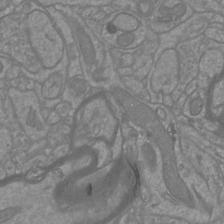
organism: Mouse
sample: Cortical neurons